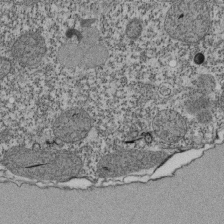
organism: Tetrahymena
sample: Cilia in tetrahymena